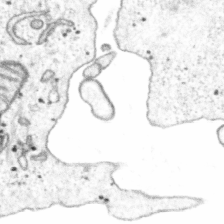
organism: Human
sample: HeLa cells